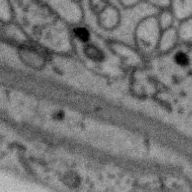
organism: Zebra finch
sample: Brain